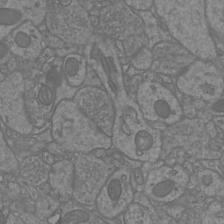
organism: Mouse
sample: Cortical neurons